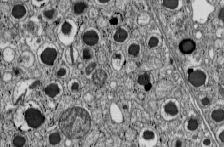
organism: C57BL Mouse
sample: Pancreatic islet